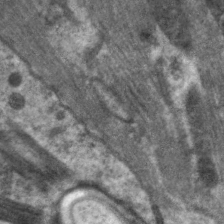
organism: C. elegans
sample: Pharynx